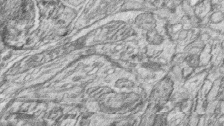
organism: Zebrafish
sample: synaptic ribbons in rod cells and cone cells